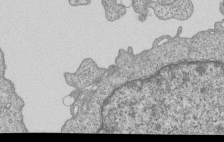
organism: Human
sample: MDA-MB-231 cells